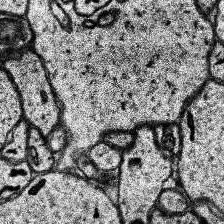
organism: Human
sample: Temporal Lobe